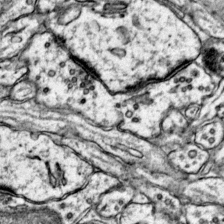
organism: Mouse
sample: Primary visual cortex